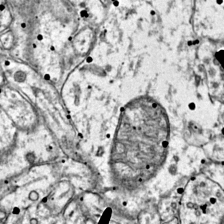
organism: Mouse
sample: Primary visual cortex